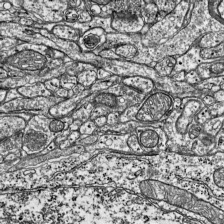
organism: Mouse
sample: Visual Cortex